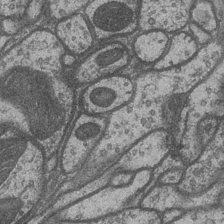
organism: Drosophila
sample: Optic medulla